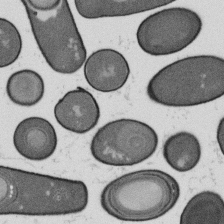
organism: B. subtilis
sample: Bacterial spore